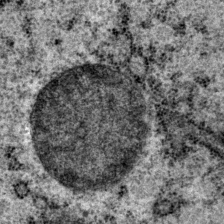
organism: P. pacificus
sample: Pharynx